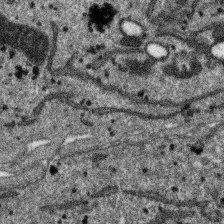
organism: Human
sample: Lung epithelial cells infected with SARS-CoV-2